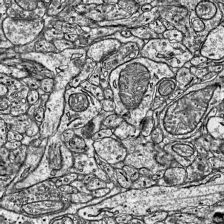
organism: Mouse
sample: Visual Cortex